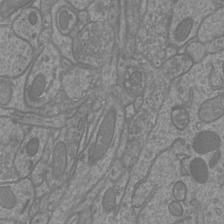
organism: Mouse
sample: Cortical neurons